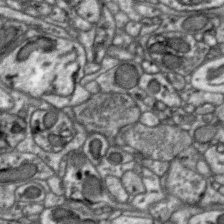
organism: Zebra finch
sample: Brain